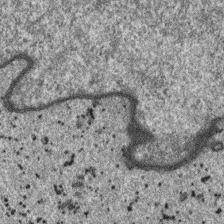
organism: Human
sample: Lung epithelial cells infected with SARS-CoV-2